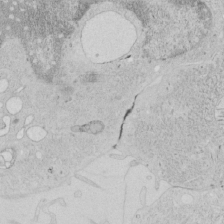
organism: Human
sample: Mitochondria in HCT116 cells